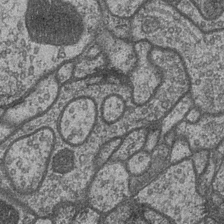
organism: Drosophila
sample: Optic medulla